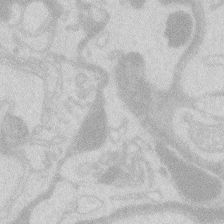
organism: Zebrafish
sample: Macrophage